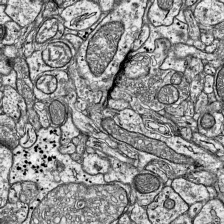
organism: Mouse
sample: Visual Cortex